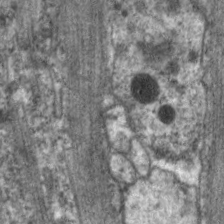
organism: C. elegans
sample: Pharynx